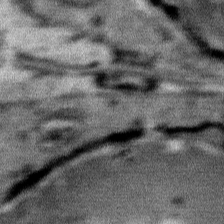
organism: Mouse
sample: Mouse Salivary gland